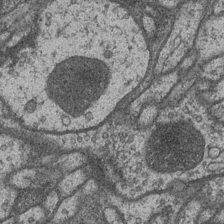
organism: Drosophila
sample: Optic medulla